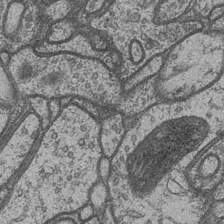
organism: Drosophila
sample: Optic medulla